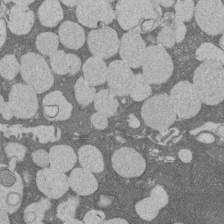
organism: Rat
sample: Salivary granule